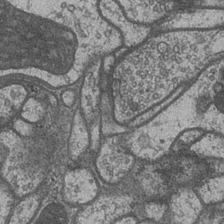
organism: Drosophila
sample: Optic medulla